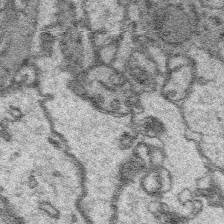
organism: Platynereis dumerilii